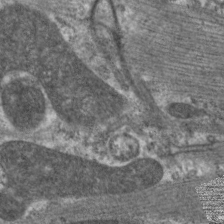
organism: C. elegans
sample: Pharynx